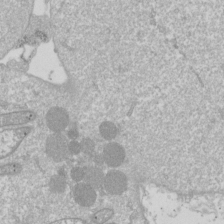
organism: Drosophila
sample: Cell division; meiosis; drosophila spermatocytes